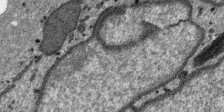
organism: Human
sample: Lung epithelial cells, uninfected (mock) control